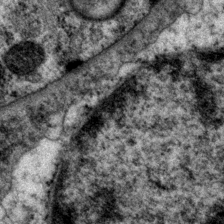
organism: P. pacificus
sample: Pharynx